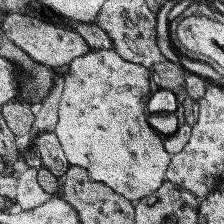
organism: Human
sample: Temporal Lobe